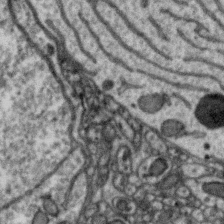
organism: Zebra finch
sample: Brain